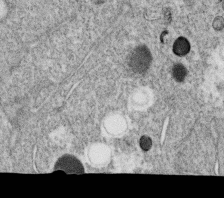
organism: C. elegans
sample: C. elegans oocyte; sperm cells